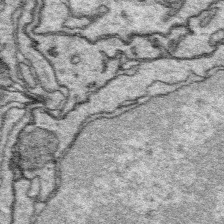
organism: Platynereis dumerilii